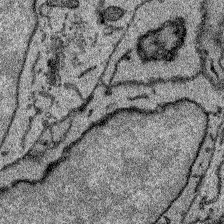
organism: Zebrafish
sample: Larval olfactory bulb